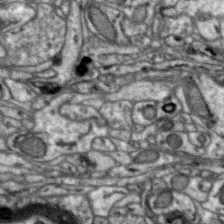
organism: Zebra finch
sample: Brain